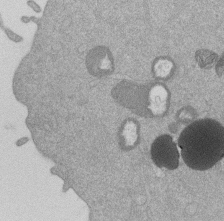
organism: Mouse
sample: Dividing mouse embryo 1 cell stage